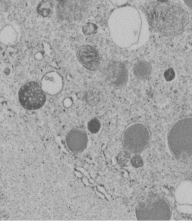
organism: C. elegans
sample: C. elegans embryo early stage